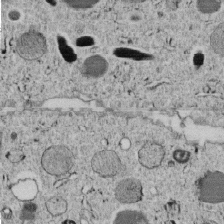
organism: C. elegans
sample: C. elegans embryo early stage